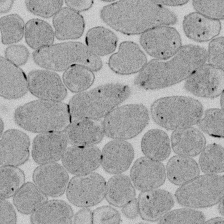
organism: E. coli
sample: Bacterial nucleoid